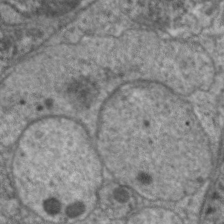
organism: C. elegans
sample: Pharynx